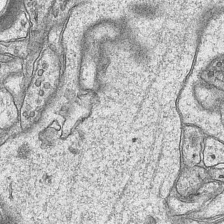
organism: Mouse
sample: CA1 Hippocampus